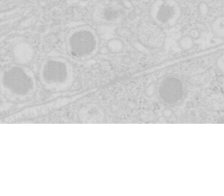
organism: Mouse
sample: Pancreas